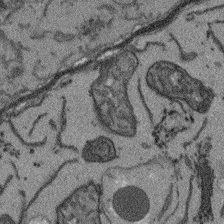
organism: Arabidopsis thaliana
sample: Root tip